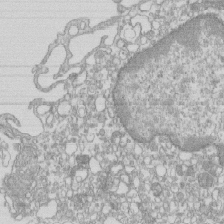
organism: Mouse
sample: Macrophages